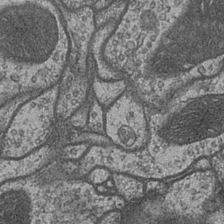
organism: Drosophila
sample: Optic medulla